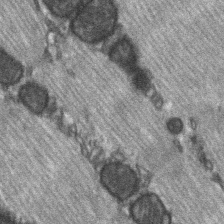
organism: C57BL Mouse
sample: Soleus